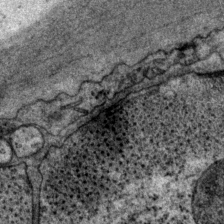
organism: P. pacificus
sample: Pharynx